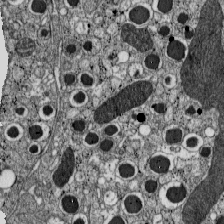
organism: C57BL Mouse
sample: Pancreatic islet